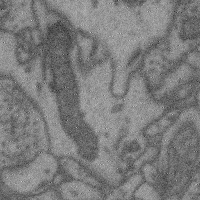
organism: Mouse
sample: Cerebral cortex